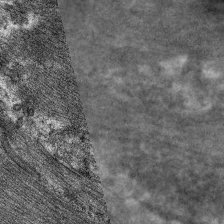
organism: C. elegans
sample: Pharynx